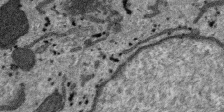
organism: Human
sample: Lung epithelial cells, uninfected (mock) control